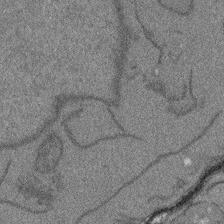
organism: Arabidopsis thaliana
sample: Root tip